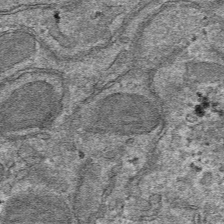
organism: Mouse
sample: Mouse hepatocytes